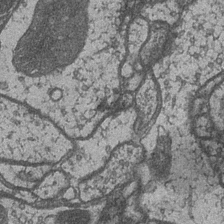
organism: Drosophila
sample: Optic medulla